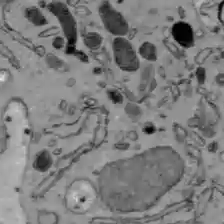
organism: C57BL Mouse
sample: Liver